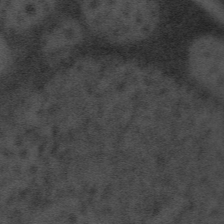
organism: Tuwongella immobilis